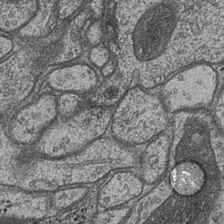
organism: Drosophila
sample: Optic medulla